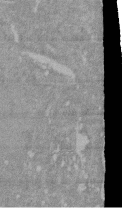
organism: Mouse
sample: ED-1 cell nuclei; centrioles